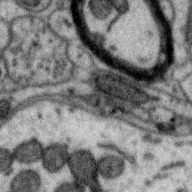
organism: Zebra finch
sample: Brain